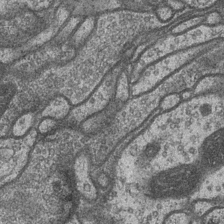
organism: Drosophila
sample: Optic medulla